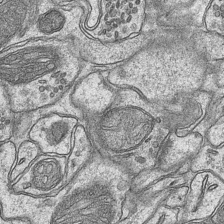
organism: Mouse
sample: CA1 Hippocampus